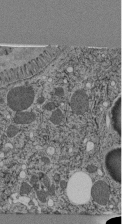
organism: C. elegans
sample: C. elegans pharynx